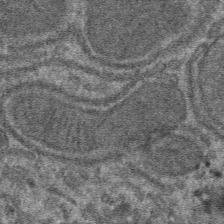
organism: Mouse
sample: Mouse hepatocytes